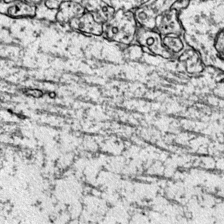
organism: Mouse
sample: Primary visual cortex